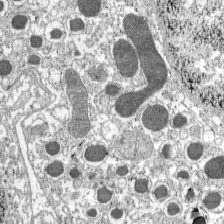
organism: C57BL Mouse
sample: Pancreatic islet